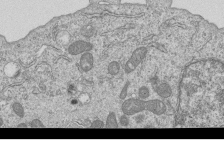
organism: Human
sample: MDA-MB-231 cells